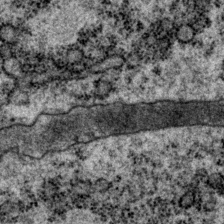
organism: P. pacificus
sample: Pharynx